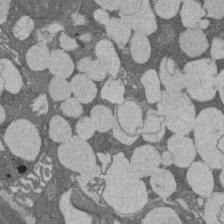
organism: Rat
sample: Salivary granule